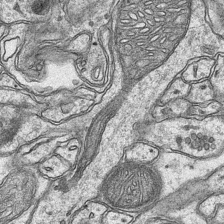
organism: Mouse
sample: CA1 Hippocampus